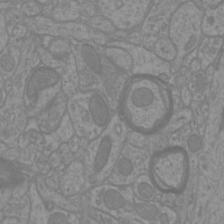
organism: Mouse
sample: Cortical neurons